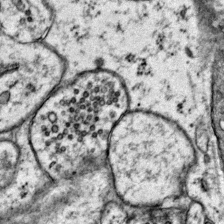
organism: Mouse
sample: Primary visual cortex